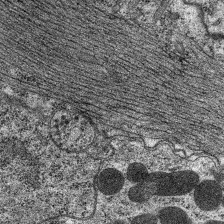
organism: C. elegans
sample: Pharynx